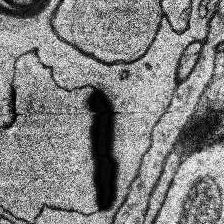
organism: Human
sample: Temporal Lobe